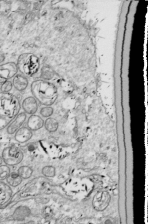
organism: Drosophila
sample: Cell division; meiosis; drosophila spermatocytes